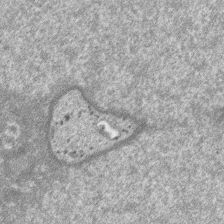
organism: Human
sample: Lung epithelial cells infected with SARS-CoV-2